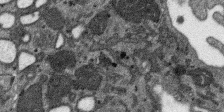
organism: Human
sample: Lung epithelial cells infected with SARS-CoV-2